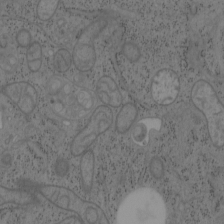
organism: Mouse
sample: OT-I killer T cells with ID8 ovarian cancer cells